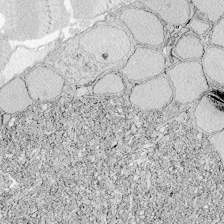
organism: Zebrafish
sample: Whole-Brain